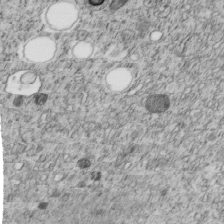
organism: C. elegans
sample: C. elegans embryo early stage